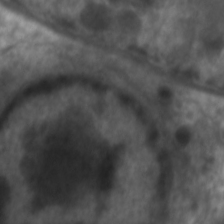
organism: C. elegans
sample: Pharynx